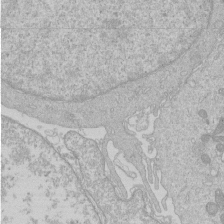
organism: Human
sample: Macrophage cells